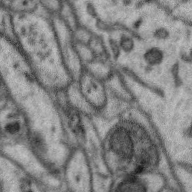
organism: Zebra finch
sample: Brain